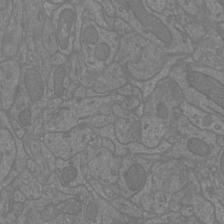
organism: Mouse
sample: Cortical neurons